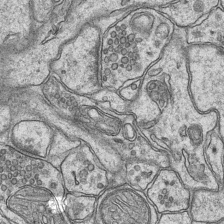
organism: Mouse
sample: CA1 Hippocampus